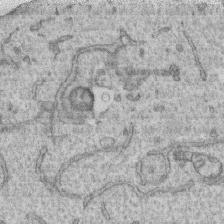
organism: Human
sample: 1205lu cells